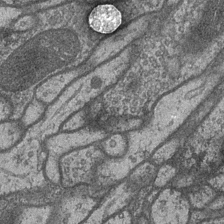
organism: Drosophila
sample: Optic medulla